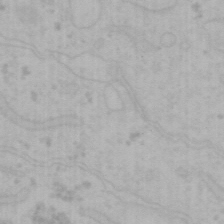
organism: Mouse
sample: Choroid plexus